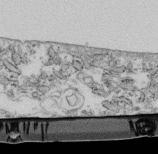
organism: Mouse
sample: Cilia; retinal pigment epithelium